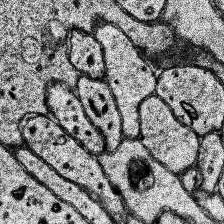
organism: Human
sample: Temporal Lobe